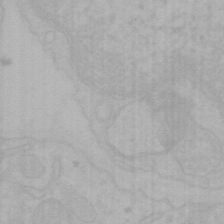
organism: Mouse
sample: Choroid plexus